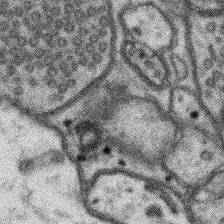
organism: Mouse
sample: Somatosensory cortex neuropil